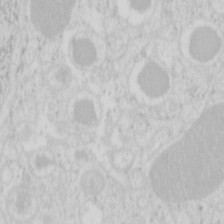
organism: Mouse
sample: Pancreas